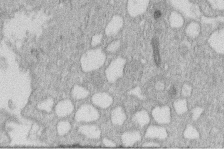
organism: Human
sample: Macrophage cells